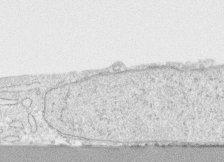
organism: Human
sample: CRL-1474